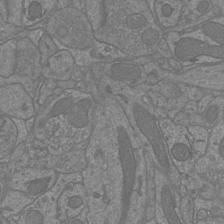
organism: Mouse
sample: Cortical neurons